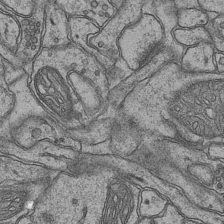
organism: Mouse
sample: CA1 Hippocampus